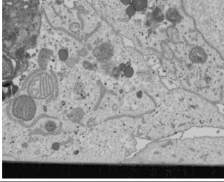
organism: Human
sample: Mitochondria in U2OS cells